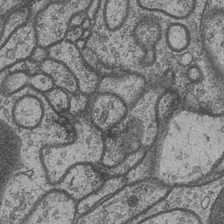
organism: Drosophila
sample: Optic medulla